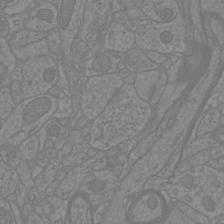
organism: Mouse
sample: Cortical neurons